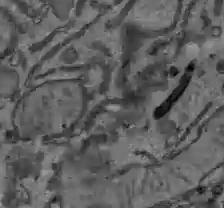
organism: C57BL Mouse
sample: Liver